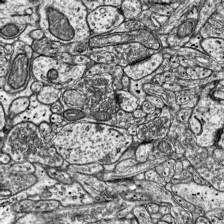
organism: Mouse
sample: Visual Cortex